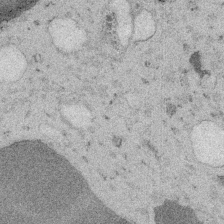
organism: Embia sp.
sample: Silk gland